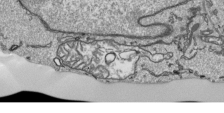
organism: Human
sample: Mitochondria in HCT116 cells